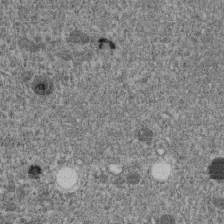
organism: C. elegans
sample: C. elegans embryo early stage